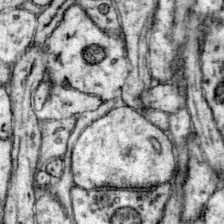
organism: Mouse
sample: Primary visual cortex